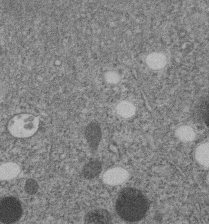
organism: C. elegans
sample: C. elegans embryo early stage